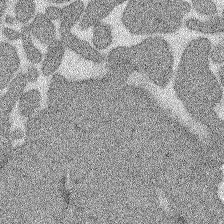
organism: Human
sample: HeLa cells